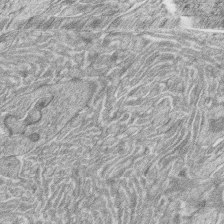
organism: Zebrafish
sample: synaptic ribbons in rod cells and cone cells